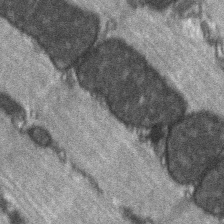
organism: C57BL Mouse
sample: Soleus